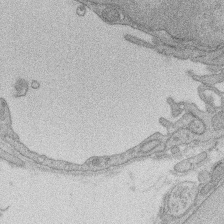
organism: Rat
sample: Salivary granule